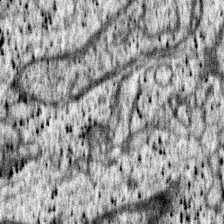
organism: Human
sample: HeLa cells